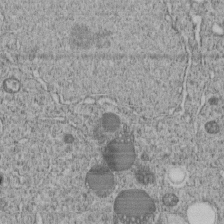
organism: C. elegans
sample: C. elegans embryo early stage